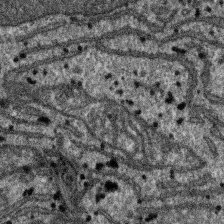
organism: Human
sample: Lung epithelial cells infected with SARS-CoV-2